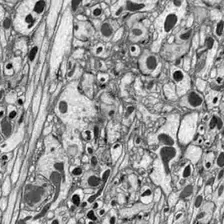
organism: Drosophila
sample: Optic lobe